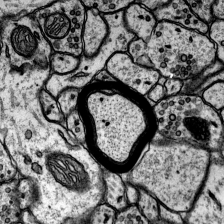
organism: Rat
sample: Hippocampus